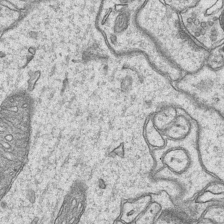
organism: Mouse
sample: CA1 Hippocampus